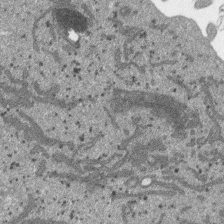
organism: Human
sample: Lung epithelial cells infected with SARS-CoV-2